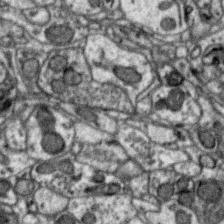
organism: Zebra finch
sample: Brain